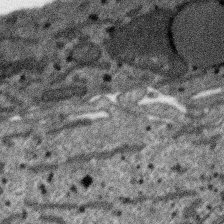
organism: Human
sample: Lung epithelial cells infected with SARS-CoV-2